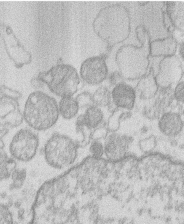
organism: Human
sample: Macrophage cells